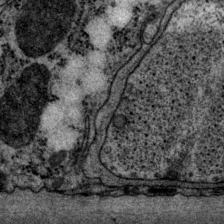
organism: P. pacificus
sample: Pharynx